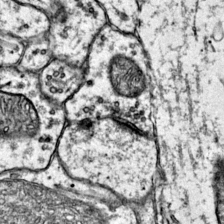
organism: Mouse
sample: Primary visual cortex